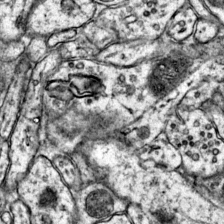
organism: Mouse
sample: Primary visual cortex